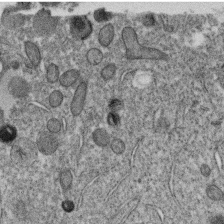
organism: C. elegans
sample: C. elegans oocyte; sperm cells